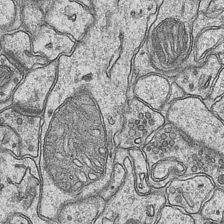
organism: Mouse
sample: CA1 Hippocampus